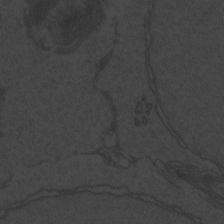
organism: Zebrafish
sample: Macrophage infected with Toxoplasma gondii